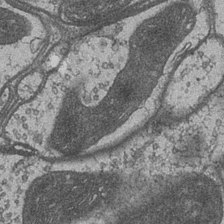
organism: Drosophila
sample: Optic medulla